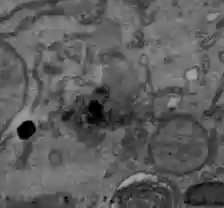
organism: C57BL Mouse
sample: Liver